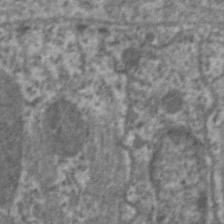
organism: C. elegans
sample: Pharynx